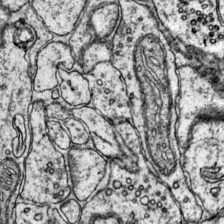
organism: Mouse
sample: Primary visual cortex